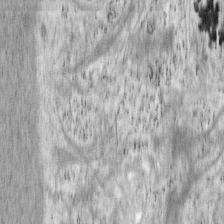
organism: Human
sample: HeLa cells